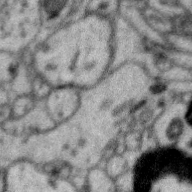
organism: Zebra finch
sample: Brain